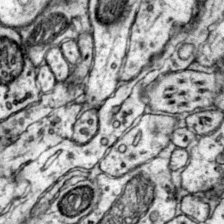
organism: Mouse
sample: Primary visual cortex